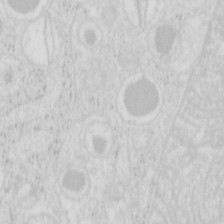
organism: Mouse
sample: Pancreas